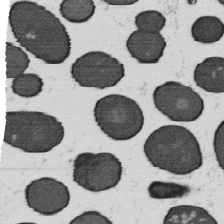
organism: B. subtilis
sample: Bacterial spore